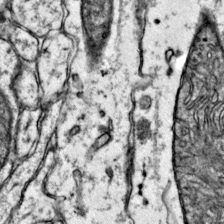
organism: Mouse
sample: Primary visual cortex